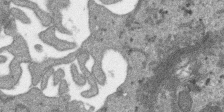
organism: Human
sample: Lung epithelial cells infected with SARS-CoV-2